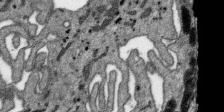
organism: Human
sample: Lung epithelial cells, uninfected (mock) control